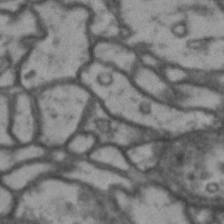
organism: Drosophila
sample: Brain